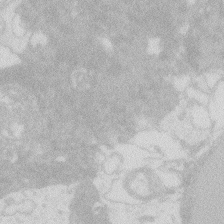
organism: Zebrafish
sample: Macrophage